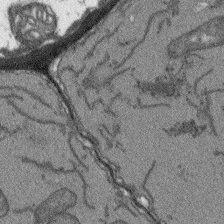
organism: Arabidopsis thaliana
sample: Root tip